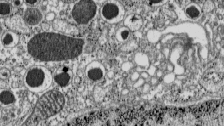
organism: C57BL Mouse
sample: Pancreatic islet